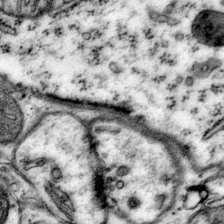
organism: Mouse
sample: Primary visual cortex